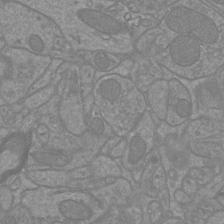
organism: Mouse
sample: Cortical neurons